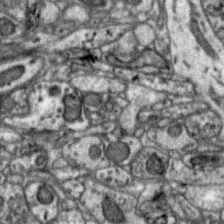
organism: Zebra finch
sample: Brain